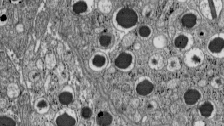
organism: C57BL Mouse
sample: Pancreatic islet